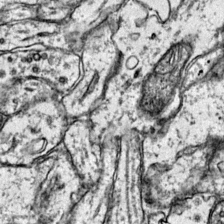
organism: Mouse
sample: Primary visual cortex